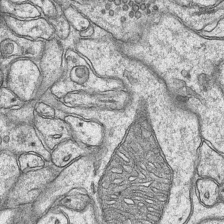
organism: Mouse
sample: CA1 Hippocampus